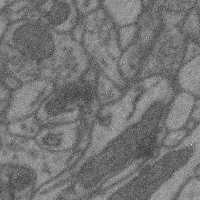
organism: Mouse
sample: Cerebral cortex